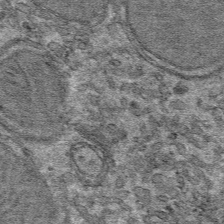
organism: Mouse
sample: Mouse hepatocytes